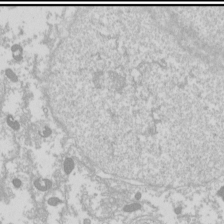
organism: Drosophila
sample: Cell division; meiosis; drosophila spermatocytes